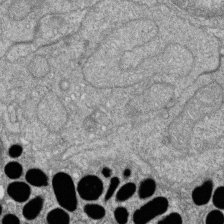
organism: Zebrafish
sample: Cilia; retinal pigment epithelium